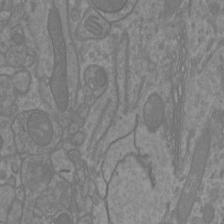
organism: Mouse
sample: Cortical neurons